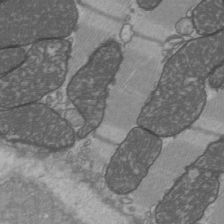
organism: C57BL Mouse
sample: Heart